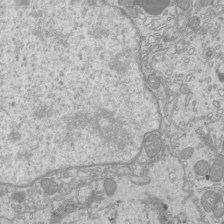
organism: Mouse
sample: Cilia; mouse epididymis